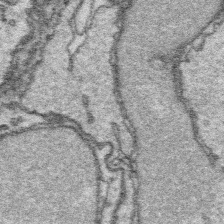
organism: Platynereis dumerilii